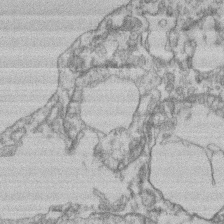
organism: Mouse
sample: T cell stromal cell synapse